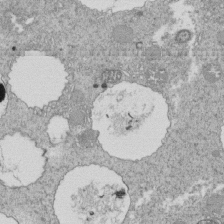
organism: Tetrahymena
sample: Cilia in tetrahymena